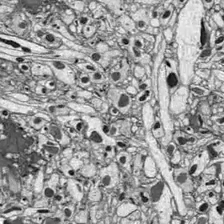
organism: Drosophila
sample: Optic lobe